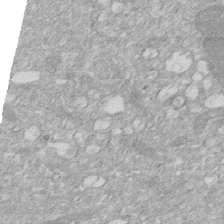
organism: Human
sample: HIV infected U937 cells